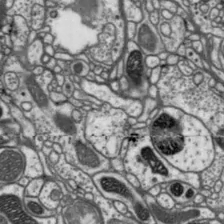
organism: Drosophila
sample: Protocerebral bridge